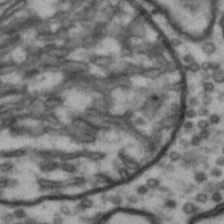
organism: Drosophila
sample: Brain